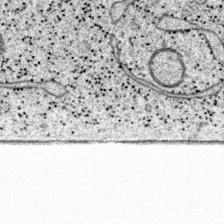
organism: Human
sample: HeLa cells